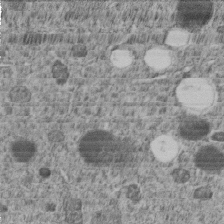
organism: C. elegans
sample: C. elegans embryo early stage